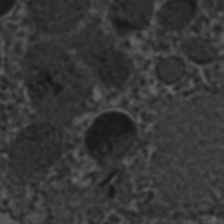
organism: C. elegans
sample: C. elegans embryo